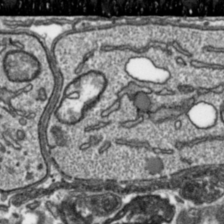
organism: Toxoplasma gondii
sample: Parasites in a vacuole inside a host cell